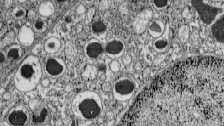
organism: C57BL Mouse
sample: Pancreatic islet